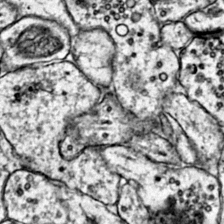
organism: Mouse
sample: Primary visual cortex